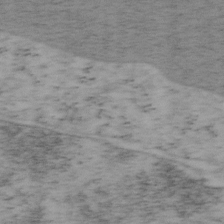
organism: Mouse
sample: OT-I killer T cells with ID8 ovarian cancer cells